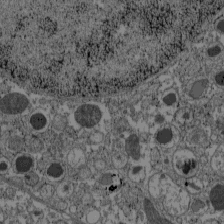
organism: C57BL Mouse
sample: Pancreatic islet